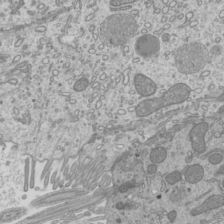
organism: Mouse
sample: Cilia; mouse epididymis